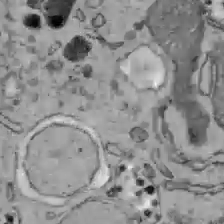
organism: C57BL Mouse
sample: Liver